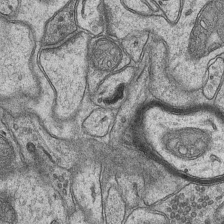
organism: Mouse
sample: CA1 Hippocampus